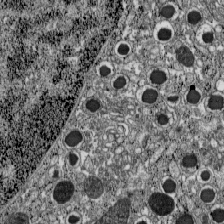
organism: C57BL Mouse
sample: Pancreatic islet